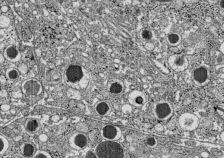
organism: C57BL Mouse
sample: Pancreatic islet